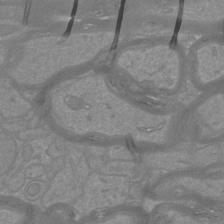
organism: Mouse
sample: Cortical neurons